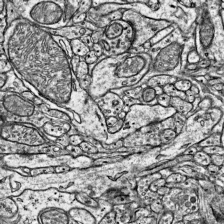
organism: Mouse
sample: Visual Cortex